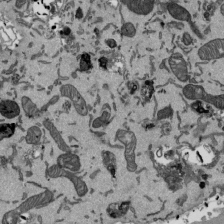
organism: Mouse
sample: ED-1 cell nuclei; centrioles